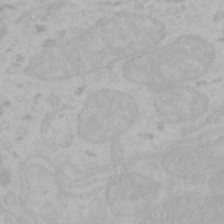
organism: Mouse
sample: Choroid plexus